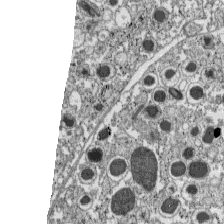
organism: C57BL Mouse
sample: Pancreatic islet